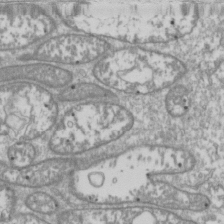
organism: Drosophila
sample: Cell division; meiosis; drosophila spermatocytes